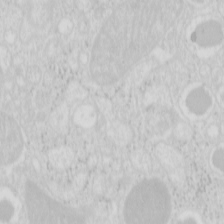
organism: Mouse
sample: Pancreas